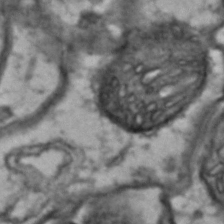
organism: Drosophila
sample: Brain